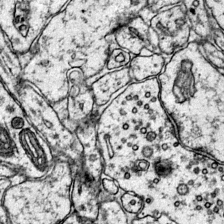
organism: Mouse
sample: Primary visual cortex